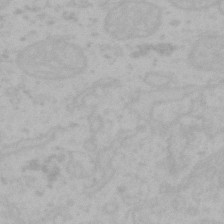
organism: Mouse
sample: Choroid plexus